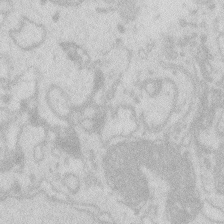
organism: Zebrafish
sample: Macrophage